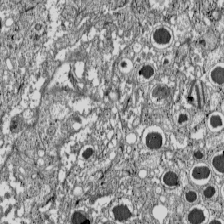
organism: C57BL Mouse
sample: Pancreatic islet